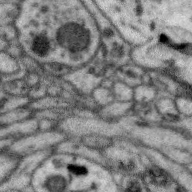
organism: Zebra finch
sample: Brain